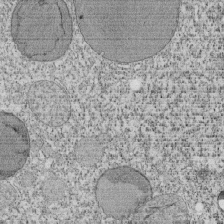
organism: Tetrahymena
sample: Cilia in tetrahymena